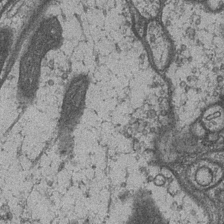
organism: Drosophila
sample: Optic medulla